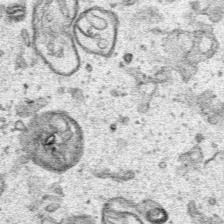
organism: Human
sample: Mitochondria in HCT116 cells